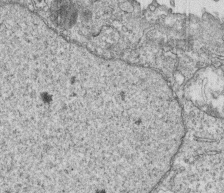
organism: Human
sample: HeLa cell HIV synapse